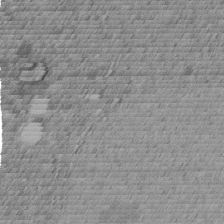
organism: C. elegans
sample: C. elegans embryo early stage